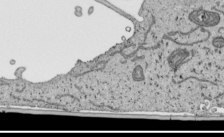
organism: Human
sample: Mitochondria in HCT116 cells